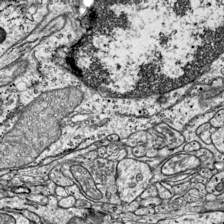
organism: Mouse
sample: Visual Cortex